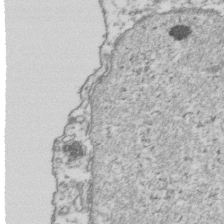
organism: Human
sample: Activated Jurkat CD4+ T cells